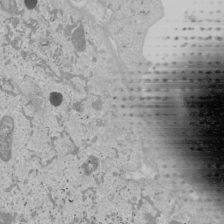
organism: Human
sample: Mitochondria in U2OS cells